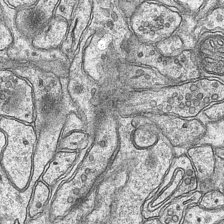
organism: Mouse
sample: CA1 Hippocampus